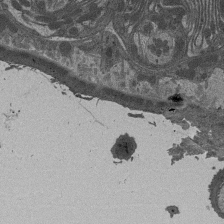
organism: Drosophila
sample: Antenna